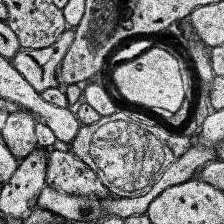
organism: Human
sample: Temporal Lobe